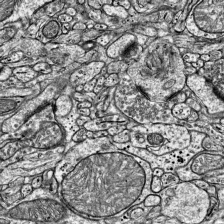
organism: Mouse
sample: Visual Cortex